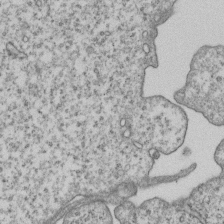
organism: Human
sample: MDA-MB-231 cells